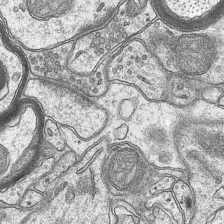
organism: Mouse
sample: CA1 Hippocampus